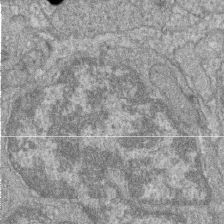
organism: Zebrafish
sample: Cilia; retinal pigment epithelium